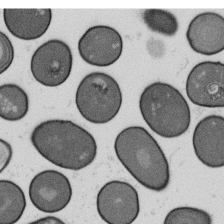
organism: B. subtilis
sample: Bacterial spore